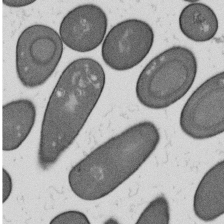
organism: B. subtilis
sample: Bacterial spore